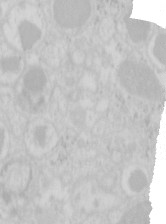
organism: Mouse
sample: Pancreas